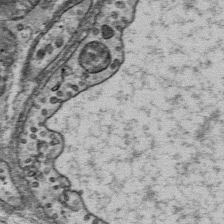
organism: Mouse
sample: Mouse Salivary gland